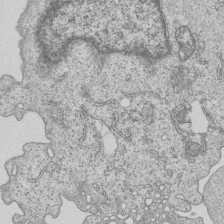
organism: Human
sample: MDA-MB-231 cells